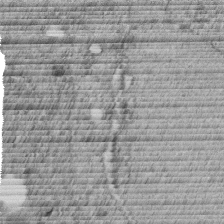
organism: C. elegans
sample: C. elegans embryo early stage